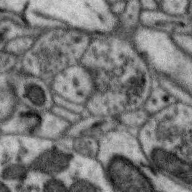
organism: Zebra finch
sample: Brain